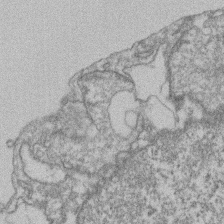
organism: Mouse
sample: T cell stromal cell synapse